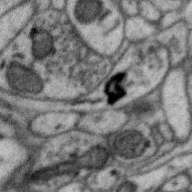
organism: Zebra finch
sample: Brain